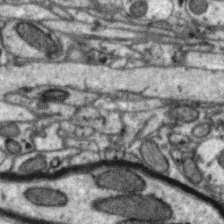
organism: Zebra finch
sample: Brain